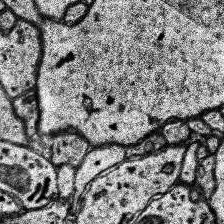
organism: Human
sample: Temporal Lobe